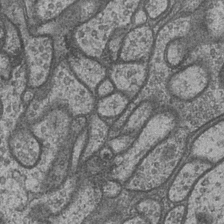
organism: Drosophila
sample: Optic medulla